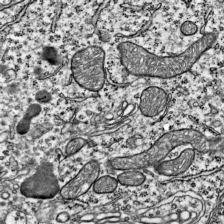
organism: Mouse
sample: Visual Cortex